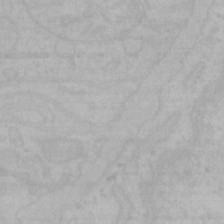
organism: Mouse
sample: Choroid plexus